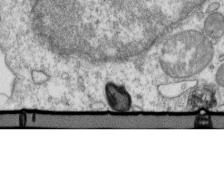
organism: Mouse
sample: Activated OT-1 CD8+ T cells